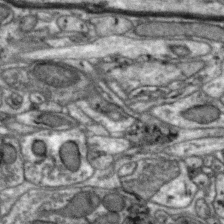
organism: Zebra finch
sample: Brain